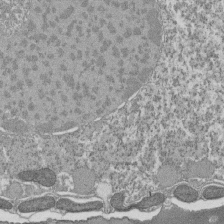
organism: Tetrahymena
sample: Cilia in tetrahymena